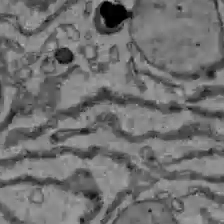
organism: C57BL Mouse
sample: Liver